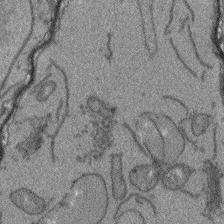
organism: Arabidopsis thaliana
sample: Root tip